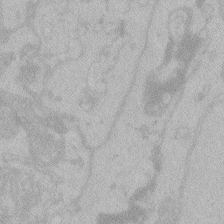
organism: Zebrafish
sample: Macrophage infected with Toxoplasma gondii